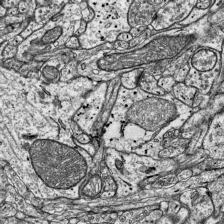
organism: Mouse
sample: Visual Cortex